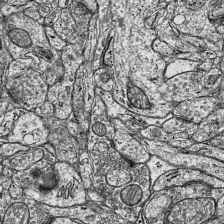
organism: Mouse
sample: Visual Cortex